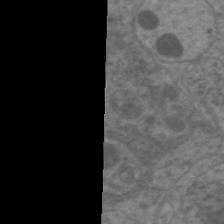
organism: C. elegans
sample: Pharynx